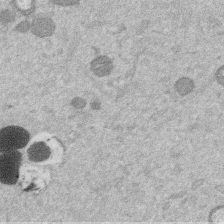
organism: Mouse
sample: Dividing mouse embryo 1 cell stage